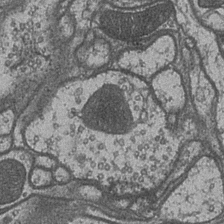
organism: Drosophila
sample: Optic medulla